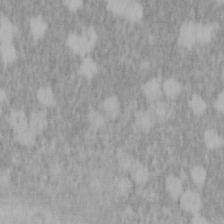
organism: Mouse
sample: OT-I killer T cells with ID8 ovarian cancer cells